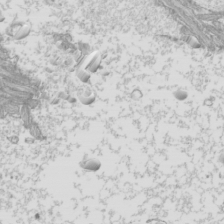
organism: Mouse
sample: Cilia; mouse epididymis